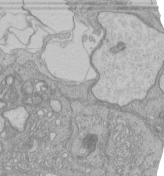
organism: Human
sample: Retinal organoid Rod and Cone cells